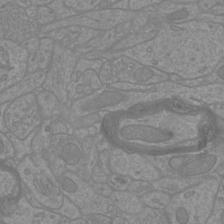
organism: Mouse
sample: Cortical neurons